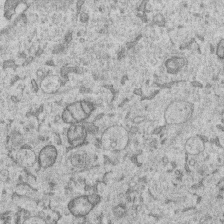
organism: Human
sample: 1205lu cells